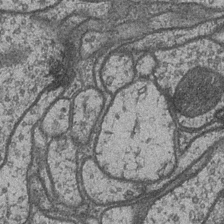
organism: Drosophila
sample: Optic medulla